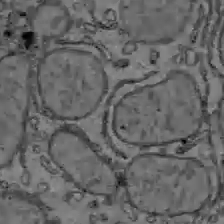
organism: C57BL Mouse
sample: Liver